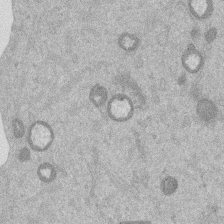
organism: Mouse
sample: Dividing mouse embryo 1 cell stage